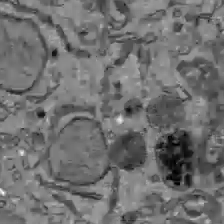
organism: C57BL Mouse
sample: Liver